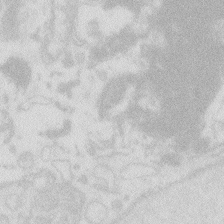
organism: Zebrafish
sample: Macrophage